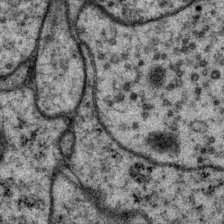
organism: P. pacificus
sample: Pharynx